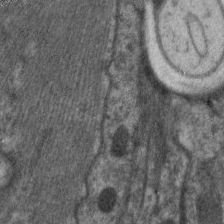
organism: C. elegans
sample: Pharynx